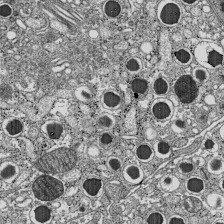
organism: C57BL Mouse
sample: Pancreatic islet